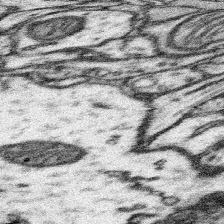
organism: Mouse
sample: Somatosensory cortex neuropil